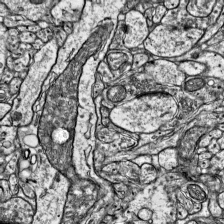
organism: Mouse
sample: Visual Cortex